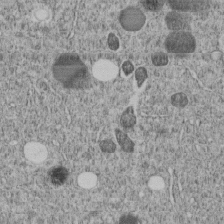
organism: C. elegans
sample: C. elegans embryo early stage